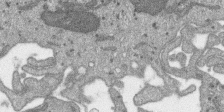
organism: Human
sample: Lung epithelial cells infected with SARS-CoV-2